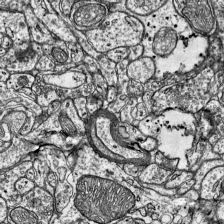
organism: Mouse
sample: Visual Cortex